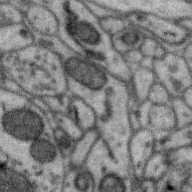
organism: Zebra finch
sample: Brain